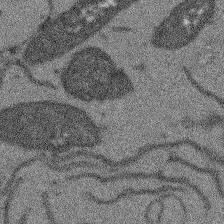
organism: Arabidopsis thaliana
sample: Root tip